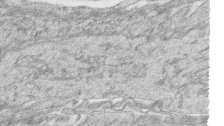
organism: Zebrafish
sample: synaptic ribbons in rod cells and cone cells